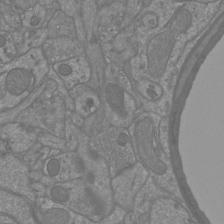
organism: Mouse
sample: Cortical neurons